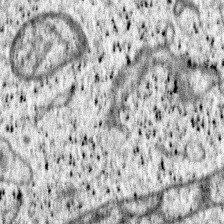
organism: Human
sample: HeLa cells